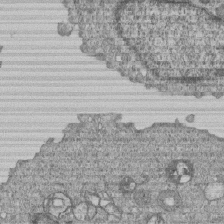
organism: Human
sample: MDA-MB-231 cells